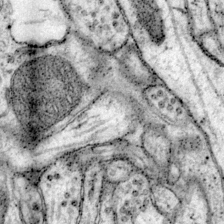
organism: Mouse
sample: Primary visual cortex